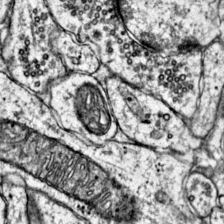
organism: Mouse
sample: Primary visual cortex